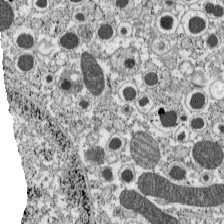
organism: C57BL Mouse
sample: Pancreatic islet